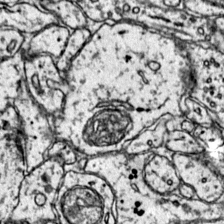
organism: Mouse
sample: Primary visual cortex